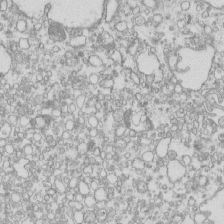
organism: Mouse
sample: Macrophages